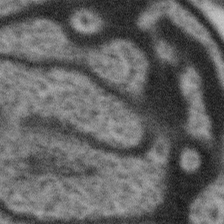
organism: Gemmata obscuriglobus